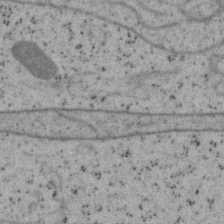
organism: Human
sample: HeLa cells